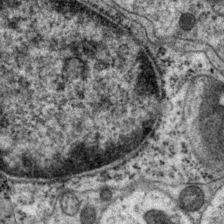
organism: P. pacificus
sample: Pharynx